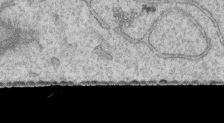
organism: Human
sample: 1205lu cells